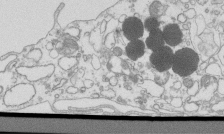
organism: Mouse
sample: Macrophages